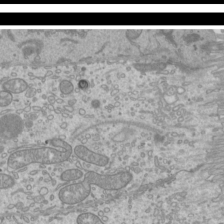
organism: Mouse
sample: Cilia; mouse epididymis